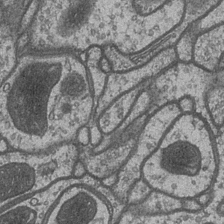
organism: Drosophila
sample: Optic medulla